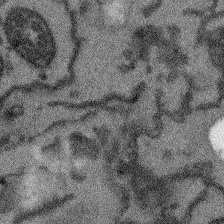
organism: Arabidopsis thaliana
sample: Root tip